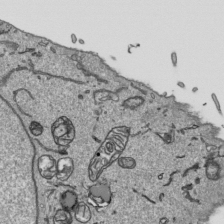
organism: Human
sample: Mitochondria in HCT116 cells